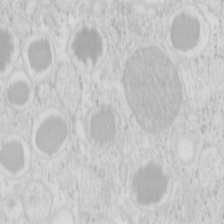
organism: Mouse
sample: Pancreas